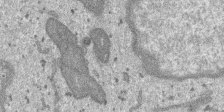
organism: Human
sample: Lung epithelial cells infected with SARS-CoV-2